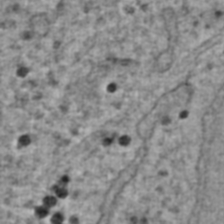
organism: Human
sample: Blood